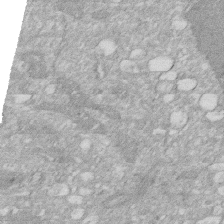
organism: Human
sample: HIV infected U937 cells